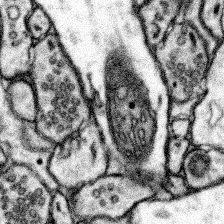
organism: Mouse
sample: Somatosensory cortex neuropil